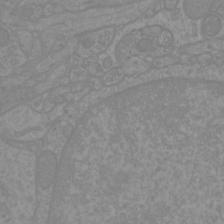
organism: Mouse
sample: Cortical neurons